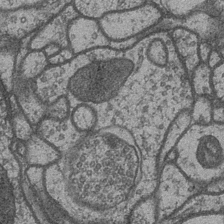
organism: Drosophila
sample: Optic medulla